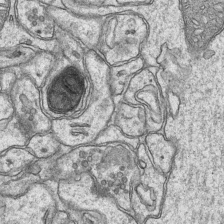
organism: Mouse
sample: CA1 Hippocampus